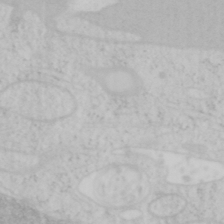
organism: Mouse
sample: OT-I killer T cells with ID8 ovarian cancer cells